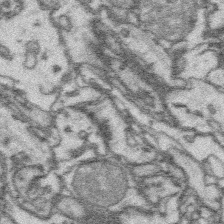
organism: Platynereis dumerilii